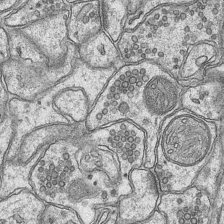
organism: Mouse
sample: CA1 Hippocampus